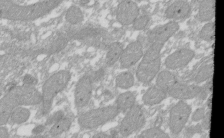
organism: Xenopus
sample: Cilia; centrioles in frog embryo cells